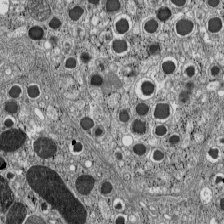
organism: C57BL Mouse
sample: Pancreatic islet